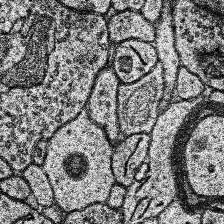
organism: Human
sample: Temporal Lobe